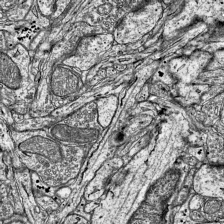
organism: Mouse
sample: Visual Cortex